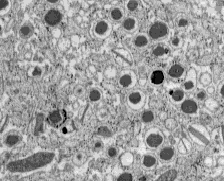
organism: C57BL Mouse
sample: Pancreatic islet